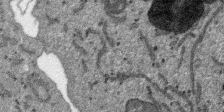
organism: Human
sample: Lung epithelial cells infected with SARS-CoV-2